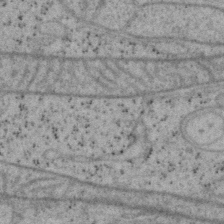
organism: Human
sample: HeLa cells